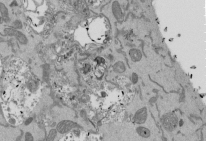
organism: Mouse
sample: ED-1 cell nuclei; centrioles